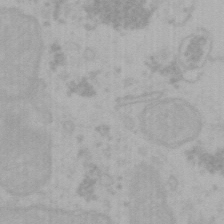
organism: Mouse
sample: Choroid plexus